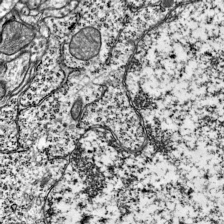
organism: Mouse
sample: Visual Cortex